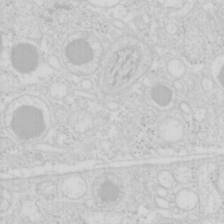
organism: Mouse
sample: Pancreas